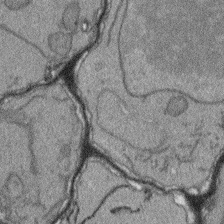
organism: Arabidopsis thaliana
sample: Root tip